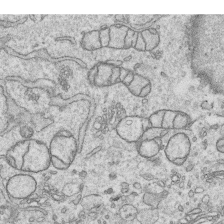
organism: Human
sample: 1205lu cells